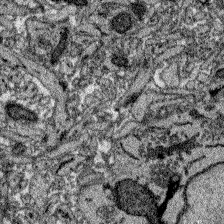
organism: Zebrafish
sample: Larval olfactory bulb